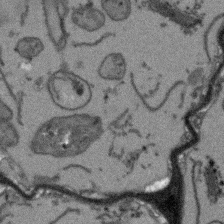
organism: Arabidopsis thaliana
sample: Root tip